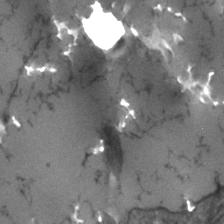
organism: Human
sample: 1205lu cells